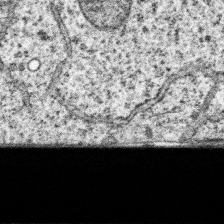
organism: Human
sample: HeLa cells